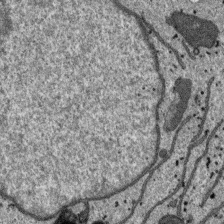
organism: Human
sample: Lung epithelial cells, uninfected (mock) control